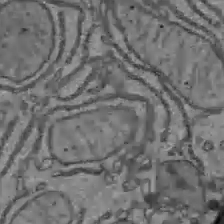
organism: C57BL Mouse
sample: Liver